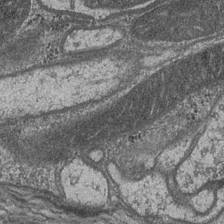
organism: Drosophila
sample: Optic medulla